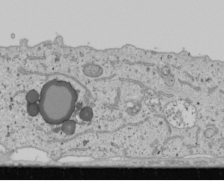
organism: Human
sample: Mitochondria in U2OS cells